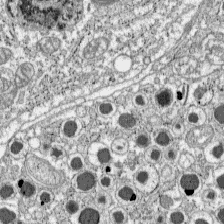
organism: C57BL Mouse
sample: Pancreatic islet